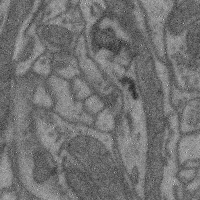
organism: Mouse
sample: Cerebral cortex